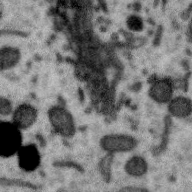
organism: Zebra finch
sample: Brain